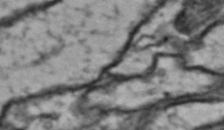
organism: Drosophila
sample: Brain